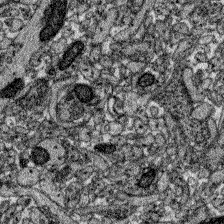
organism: Zebrafish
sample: Larval olfactory bulb